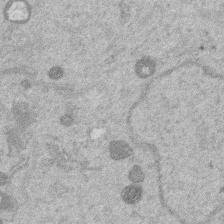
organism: Mouse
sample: Dividing mouse embryo 1 cell stage